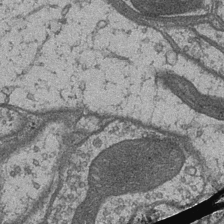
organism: Drosophila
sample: Optic medulla